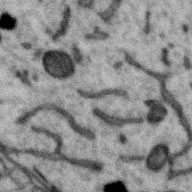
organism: Zebra finch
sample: Brain